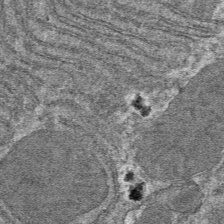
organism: Mouse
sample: Mouse hepatocytes